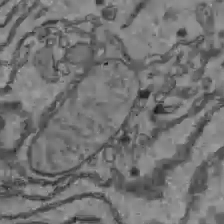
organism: C57BL Mouse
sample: Liver